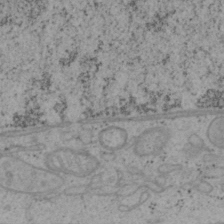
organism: Human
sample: HeLa cells